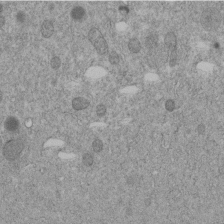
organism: C. elegans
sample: C. elegans embryo early stage